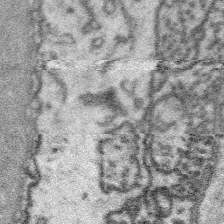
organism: Platynereis dumerilii